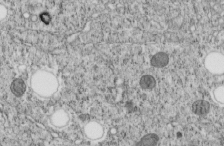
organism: C. elegans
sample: C. elegans embryo early stage